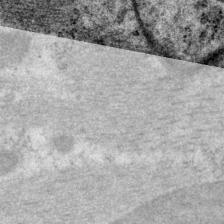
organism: P. pacificus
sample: Pharynx